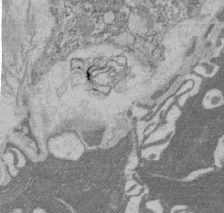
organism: Rat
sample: Salivary granule